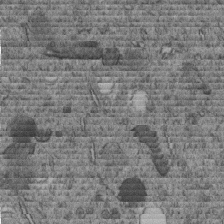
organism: C. elegans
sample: C. elegans embryo early stage